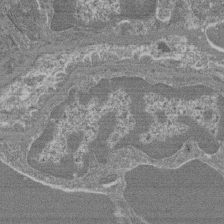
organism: Mouse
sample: Glomerulus